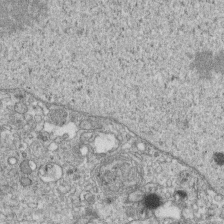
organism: Human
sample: HeLa cell HIV synapse